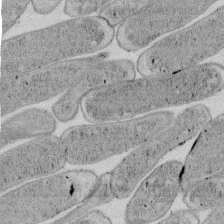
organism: E. coli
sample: Bacterial nucleoid